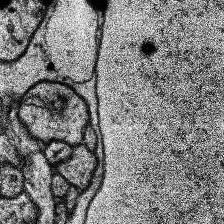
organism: Human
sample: Temporal Lobe